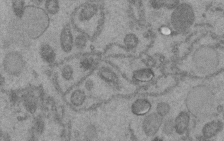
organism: C. elegans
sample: C. elegans embryo early stage